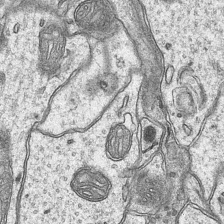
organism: Mouse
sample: CA1 Hippocampus